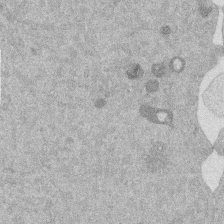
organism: Mouse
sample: Dividing mouse embryo 1 cell stage